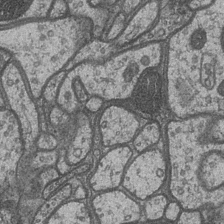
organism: Drosophila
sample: Optic medulla